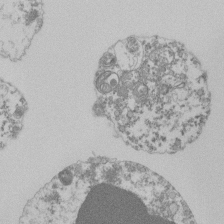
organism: Mouse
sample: Activated Pmel transgenic CD8+ T Cells